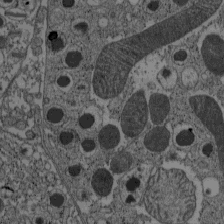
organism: C57BL Mouse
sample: Pancreatic islet